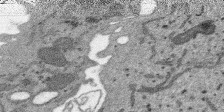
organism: Human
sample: Lung epithelial cells infected with SARS-CoV-2